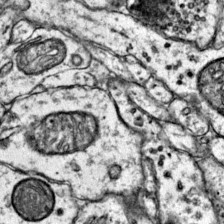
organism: Mouse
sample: Primary visual cortex